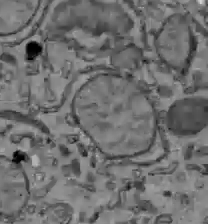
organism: C57BL Mouse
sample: Liver